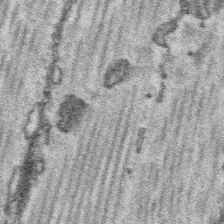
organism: Platynereis dumerilii